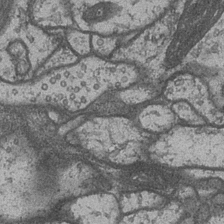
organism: Drosophila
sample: Optic medulla